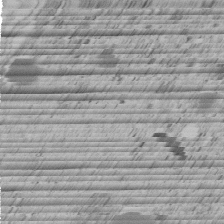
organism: C. elegans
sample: C. elegans embryo early stage